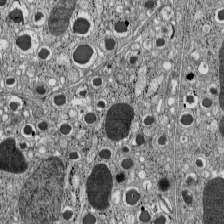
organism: C57BL Mouse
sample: Pancreatic islet